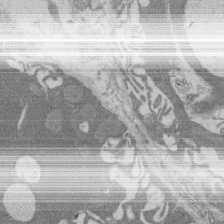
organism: Rat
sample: Salivary granule